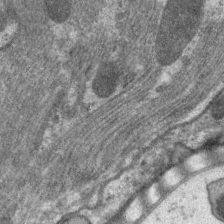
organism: C. elegans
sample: Pharynx